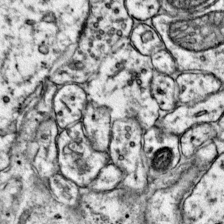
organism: Mouse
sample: Primary visual cortex